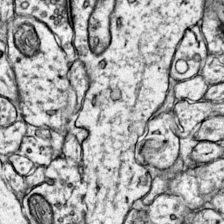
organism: Mouse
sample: Primary visual cortex